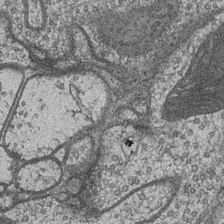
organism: Drosophila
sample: Optic medulla